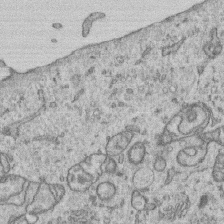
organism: Human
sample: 1205lu cells